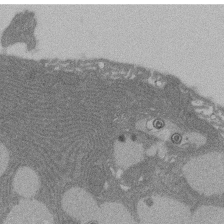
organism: Rat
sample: Salivary granule